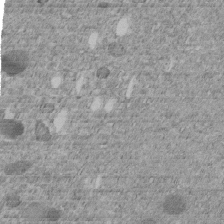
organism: C. elegans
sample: C. elegans embryo early stage